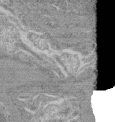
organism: Mouse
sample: Glomerulus